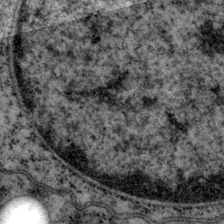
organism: P. pacificus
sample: Pharynx